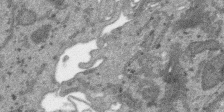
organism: Human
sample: Lung epithelial cells infected with SARS-CoV-2